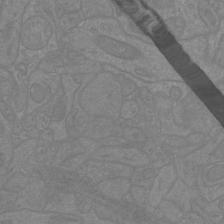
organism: Mouse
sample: Cortical neurons